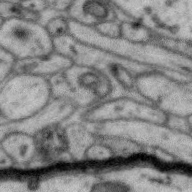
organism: Zebra finch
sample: Brain